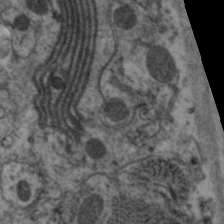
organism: C. elegans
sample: Pharynx